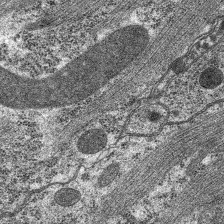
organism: C. elegans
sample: Pharynx